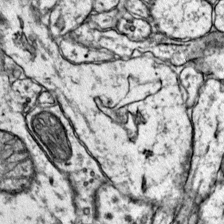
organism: Mouse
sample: Primary visual cortex